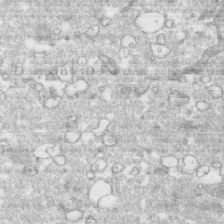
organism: Human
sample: CRL-1474